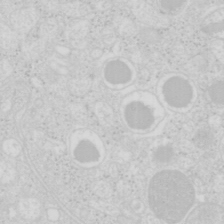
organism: Mouse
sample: Pancreas